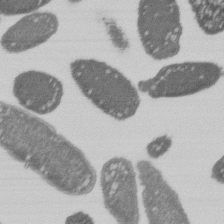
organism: E. coli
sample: Bacterial nucleoid